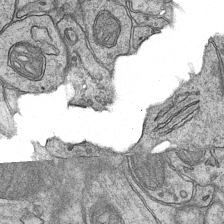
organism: Mouse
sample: CA1 Hippocampus